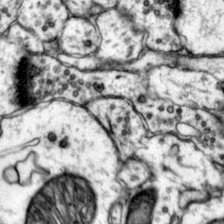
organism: Mouse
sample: Primary visual cortex